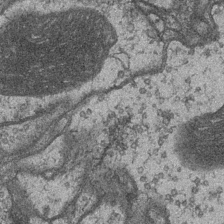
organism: Drosophila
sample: Optic medulla